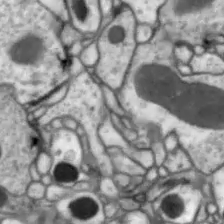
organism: Drosophila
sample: Optic lobe